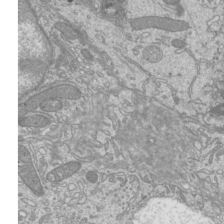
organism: Mouse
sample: Cilia; mouse epididymis